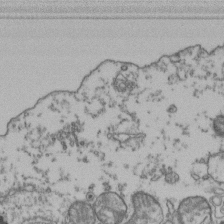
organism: Human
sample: Activated Jurkat CD4+ T cells